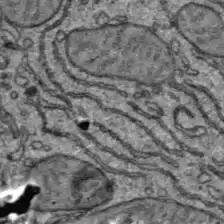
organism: C57BL Mouse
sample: Liver